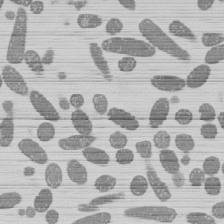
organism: E. coli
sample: Bacterial nucleoid